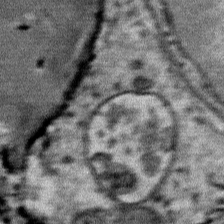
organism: Mouse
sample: Mouse Salivary gland